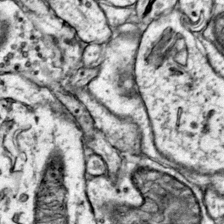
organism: Mouse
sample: Primary visual cortex